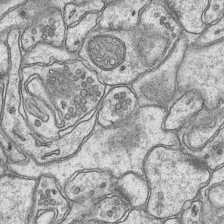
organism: Mouse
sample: CA1 Hippocampus